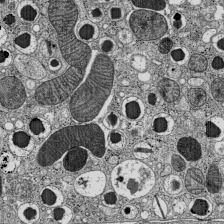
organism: C57BL Mouse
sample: Pancreatic islet